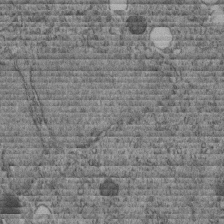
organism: C. elegans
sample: C. elegans embryo early stage